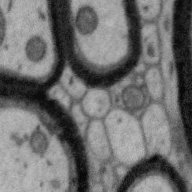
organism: Zebra finch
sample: Brain